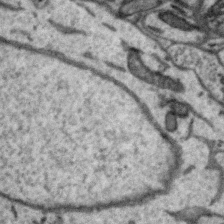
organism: Zebra finch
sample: Brain